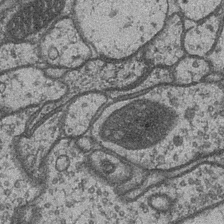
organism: Drosophila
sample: Optic medulla